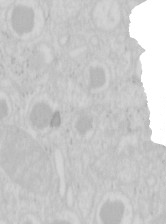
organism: Mouse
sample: Pancreas